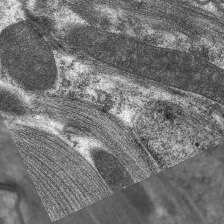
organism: C. elegans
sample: Pharynx